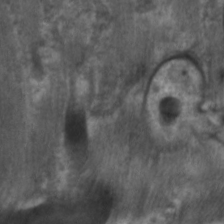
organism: C. elegans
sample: Pharynx